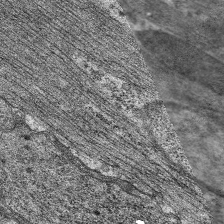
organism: C. elegans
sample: Pharynx